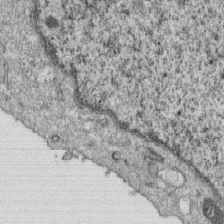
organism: African green monkey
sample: Vero E6 cells infected with SARS-CoV-2